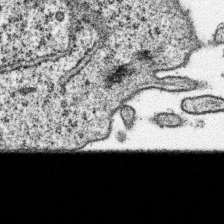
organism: Human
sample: HeLa cells